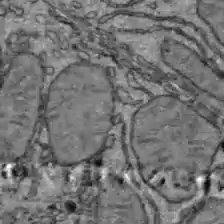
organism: C57BL Mouse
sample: Liver